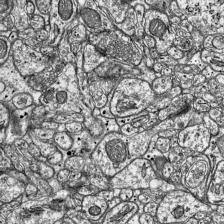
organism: Mouse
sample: Visual Cortex